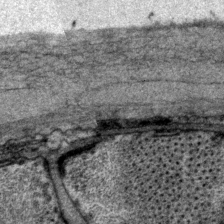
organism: P. pacificus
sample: Pharynx